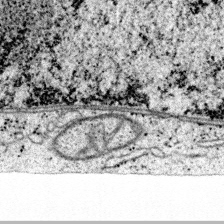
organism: Human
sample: HeLa cells